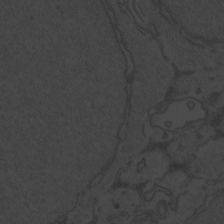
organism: Zebrafish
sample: Macrophage infected with Toxoplasma gondii